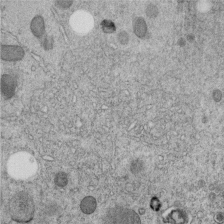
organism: C. elegans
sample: C. elegans embryo early stage